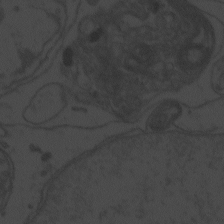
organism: Zebrafish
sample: Macrophage infected with Toxoplasma gondii